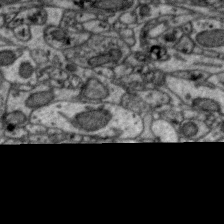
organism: Zebra finch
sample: Brain